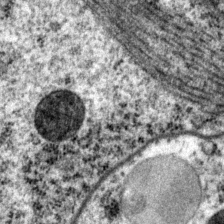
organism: P. pacificus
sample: Pharynx